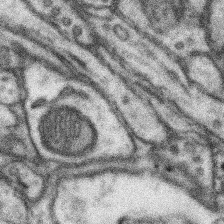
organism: Mouse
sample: Somatosensory cortex neuropil